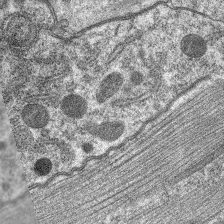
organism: C. elegans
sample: Pharynx